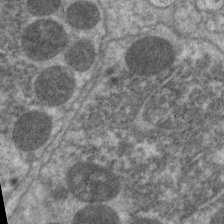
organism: C. elegans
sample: Pharynx